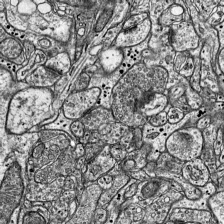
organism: Mouse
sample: Visual Cortex